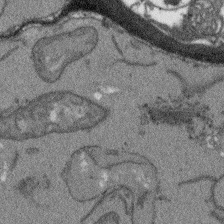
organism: Arabidopsis thaliana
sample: Root tip